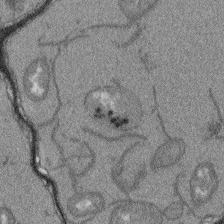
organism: Arabidopsis thaliana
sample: Root tip